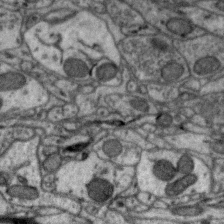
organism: Zebra finch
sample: Brain